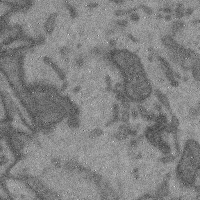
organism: Mouse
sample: Cerebral cortex